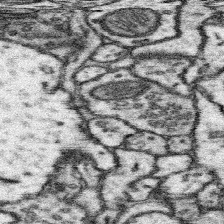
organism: Mouse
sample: Somatosensory cortex neuropil